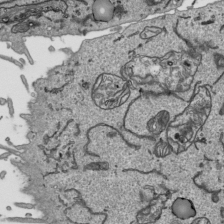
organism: Human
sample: Mitochondria in HCT116 cells